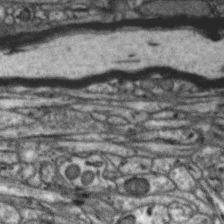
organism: Zebra finch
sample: Brain